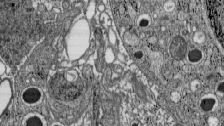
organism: C57BL Mouse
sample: Pancreatic islet